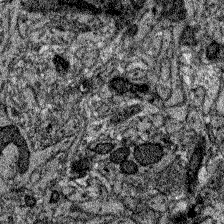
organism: Zebrafish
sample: Larval olfactory bulb